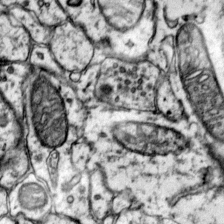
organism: Mouse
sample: Primary visual cortex